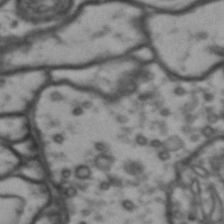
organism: Drosophila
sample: Brain